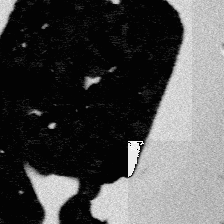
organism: Platynereis dumerilii